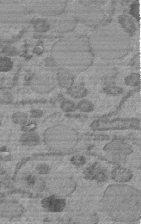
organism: C. elegans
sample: C. elegans embryo early stage